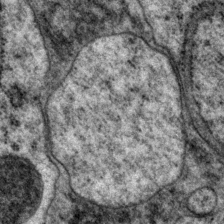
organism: P. pacificus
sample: Pharynx